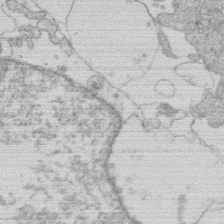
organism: Human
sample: Macrophage cells